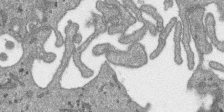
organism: Human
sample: Lung epithelial cells infected with SARS-CoV-2